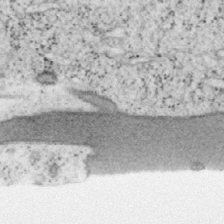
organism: Mouse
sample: OT-I killer T cells with ID8 ovarian cancer cells